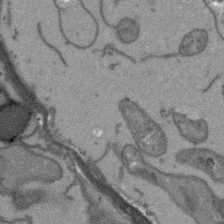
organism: Arabidopsis thaliana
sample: Root tip